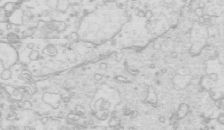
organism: Mouse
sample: Multiciliated cells